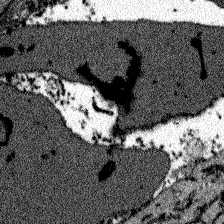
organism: Zebrafish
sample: Larval olfactory bulb